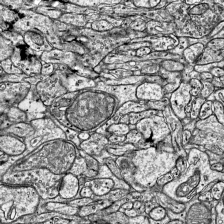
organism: Mouse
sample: Visual Cortex